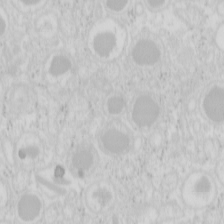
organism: Mouse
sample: Pancreas